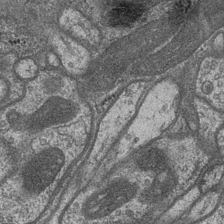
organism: Drosophila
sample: Optic medulla